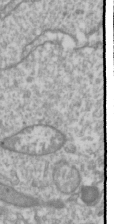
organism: Drosophila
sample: Cell division; meiosis; drosophila spermatocytes